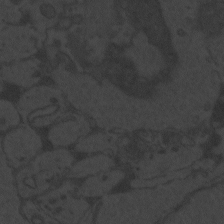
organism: Zebrafish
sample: Macrophage infected with Toxoplasma gondii